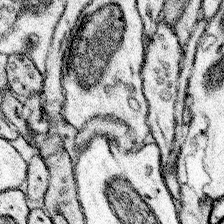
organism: Mouse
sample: Somatosensory cortex neuropil